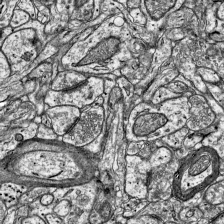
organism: Mouse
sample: Visual Cortex